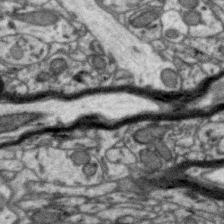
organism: Zebra finch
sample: Brain